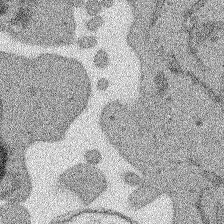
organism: Human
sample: HeLa cells